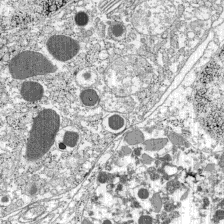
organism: C57BL Mouse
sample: Pancreatic islet